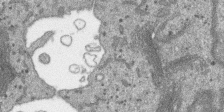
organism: Human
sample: Lung epithelial cells infected with SARS-CoV-2